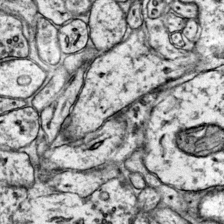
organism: Mouse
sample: Primary visual cortex